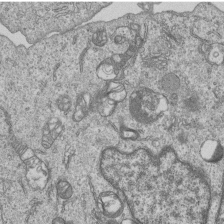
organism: Human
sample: MDA-MB-231 cells